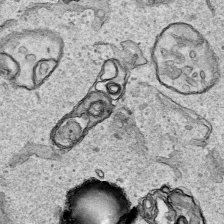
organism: Human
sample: Mitochondria in HCT116 cells